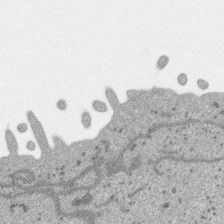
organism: Human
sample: Lung epithelial cells infected with SARS-CoV-2